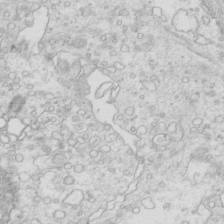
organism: Mouse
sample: Multiciliated cells